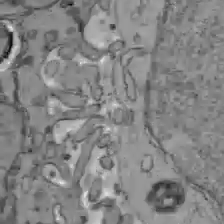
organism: C57BL Mouse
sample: Liver